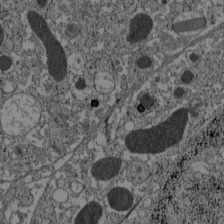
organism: C57BL Mouse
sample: Pancreatic islet